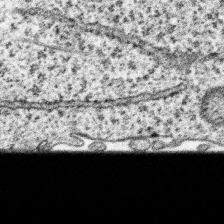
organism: Human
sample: HeLa cells